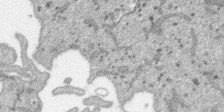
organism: Human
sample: Lung epithelial cells infected with SARS-CoV-2